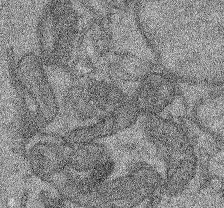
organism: Human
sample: HeLa cells